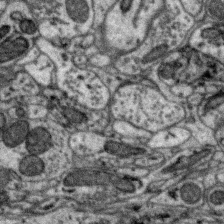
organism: Zebra finch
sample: Brain